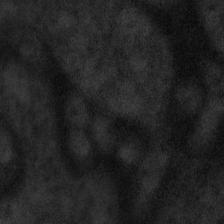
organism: Tuwongella immobilis